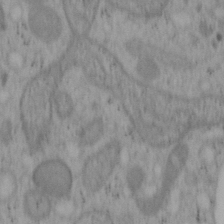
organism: Mouse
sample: OT-I killer T cells with ID8 ovarian cancer cells